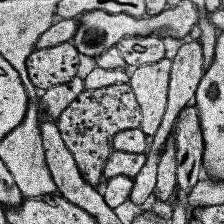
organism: Human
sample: Temporal Lobe